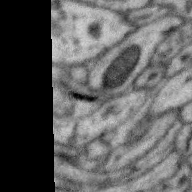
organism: Zebra finch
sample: Brain